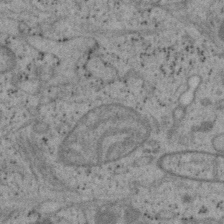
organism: Human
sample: HeLa cells